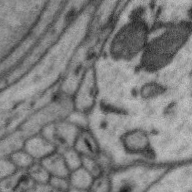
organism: Zebra finch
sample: Brain